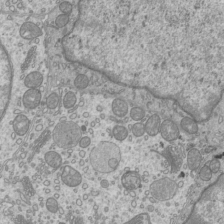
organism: Mouse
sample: Cilia; mouse epididymis